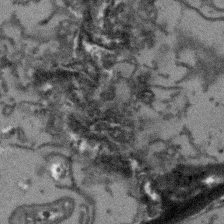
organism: Arabidopsis thaliana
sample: Root tip